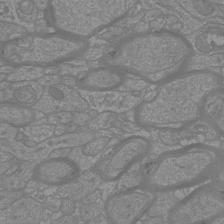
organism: Mouse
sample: Cortical neurons